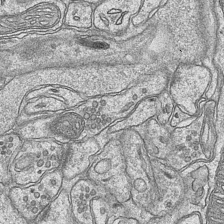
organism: Mouse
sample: CA1 Hippocampus